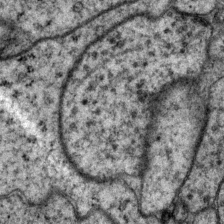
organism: P. pacificus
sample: Pharynx